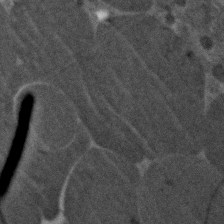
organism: Zebrafish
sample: Zebrafish embryo